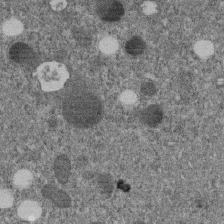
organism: C. elegans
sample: C. elegans embryo early stage